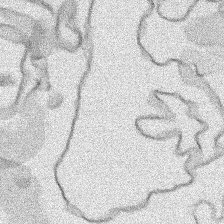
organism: Human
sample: Mitochondria in HCT116 cells